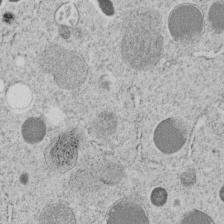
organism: C. elegans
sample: C. elegans embryo early stage